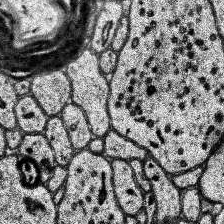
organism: Human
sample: Temporal Lobe